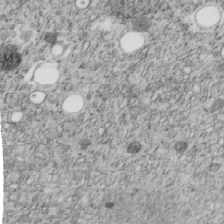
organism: C. elegans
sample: C. elegans embryo early stage